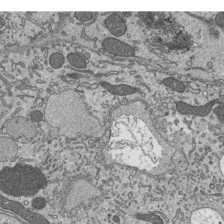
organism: Mouse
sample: Mouse epididymis efferent ductule cilia